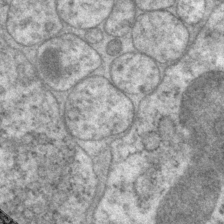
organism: P. pacificus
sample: Pharynx